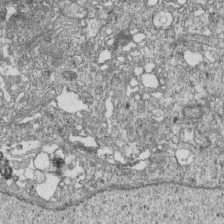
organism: Human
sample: HeLa cell HIV synapse